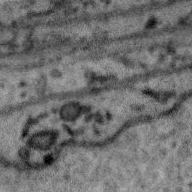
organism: Zebra finch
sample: Brain